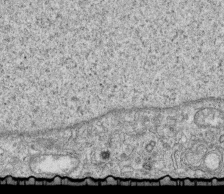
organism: Human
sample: HeLa cell HIV synapse